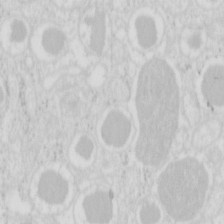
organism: Mouse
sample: Pancreas